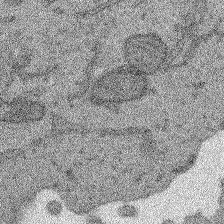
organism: Human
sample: HeLa cells